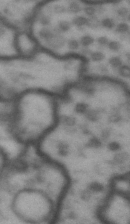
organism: Drosophila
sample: Brain